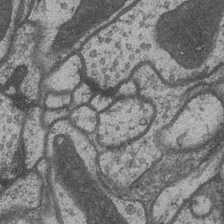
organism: Drosophila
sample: Optic medulla